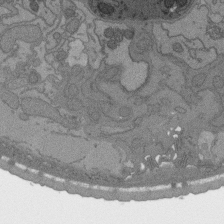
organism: C. elegans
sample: AFD neurons C. elegans